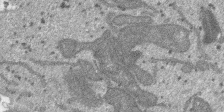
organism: Human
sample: Lung epithelial cells infected with SARS-CoV-2